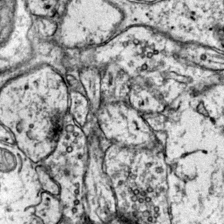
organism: Mouse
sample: Primary visual cortex